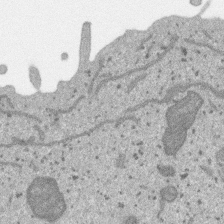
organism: Human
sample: Lung epithelial cells infected with SARS-CoV-2